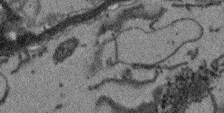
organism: Arabidopsis thaliana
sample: Root tip